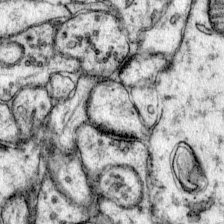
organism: Mouse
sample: Primary visual cortex